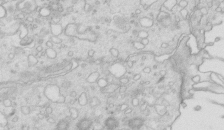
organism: Mouse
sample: Multiciliated cells